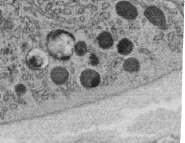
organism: C. elegans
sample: C. elegans oocyte; sperm cells